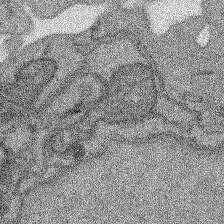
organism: Human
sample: HeLa cells